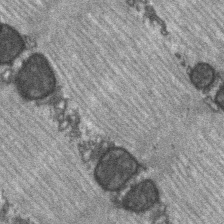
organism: C57BL Mouse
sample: Soleus